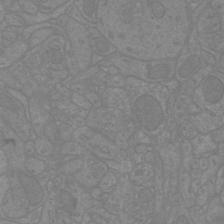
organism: Mouse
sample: Cortical neurons